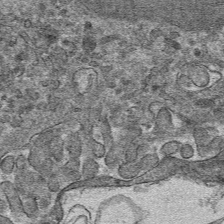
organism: Mouse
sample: Mouse hepatocytes